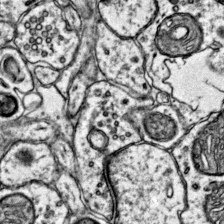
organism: Mouse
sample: Primary visual cortex